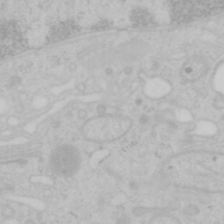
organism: Mouse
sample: OT-I killer T cells with ID8 ovarian cancer cells